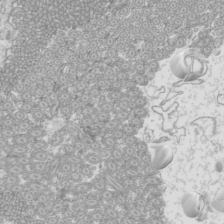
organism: Mouse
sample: Cilia; mouse epididymis